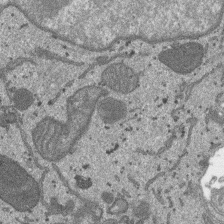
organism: Human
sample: Lung epithelial cells infected with SARS-CoV-2